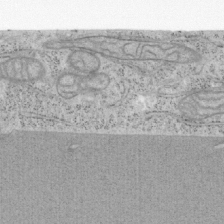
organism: Human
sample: HeLa cells